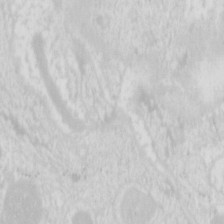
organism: Mouse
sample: Pancreas